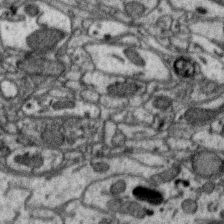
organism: Zebra finch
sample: Brain